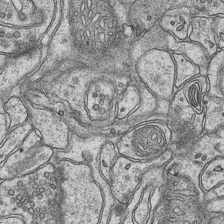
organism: Mouse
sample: CA1 Hippocampus